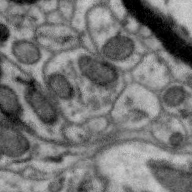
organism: Zebra finch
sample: Brain